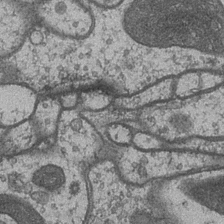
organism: Drosophila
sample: Optic medulla